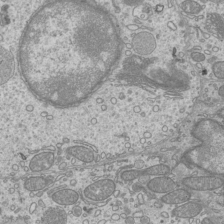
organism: Mouse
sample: Cilia; mouse epididymis